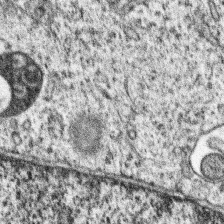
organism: Human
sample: HeLa cells